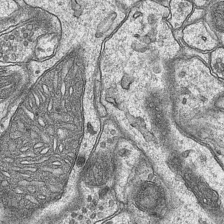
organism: Mouse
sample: CA1 Hippocampus